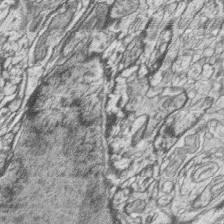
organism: Zebrafish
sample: synaptic ribbons in rod cells and cone cells